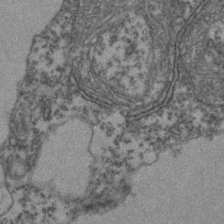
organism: Zebrafish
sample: Zebrafish embryo